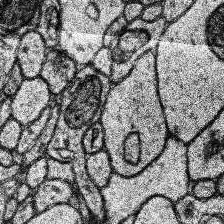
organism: Human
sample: Temporal Lobe